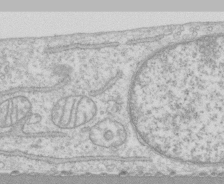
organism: Human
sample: CRL-1474